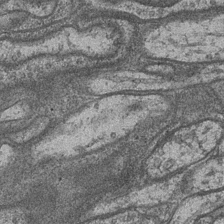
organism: Drosophila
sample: Optic medulla